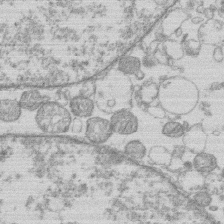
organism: Human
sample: Macrophage cells